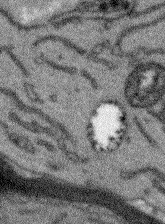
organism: Arabidopsis thaliana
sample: Root tip